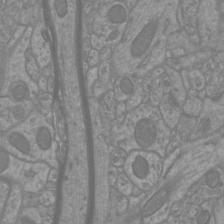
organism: Mouse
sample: Cortical neurons